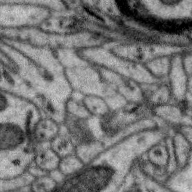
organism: Zebra finch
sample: Brain